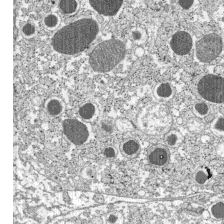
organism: C57BL Mouse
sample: Pancreatic islet